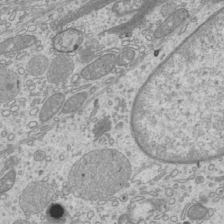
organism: Mouse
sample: Cilia; mouse epididymis